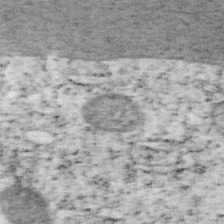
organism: Mouse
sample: OT-I killer T cells with ID8 ovarian cancer cells